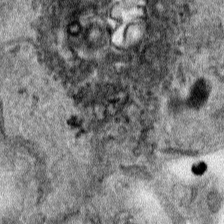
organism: Human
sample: Mitochondria in HCT116 cells